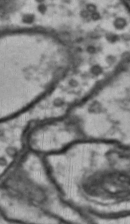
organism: Drosophila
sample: Brain